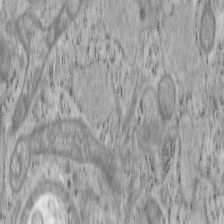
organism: Human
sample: HeLa cells